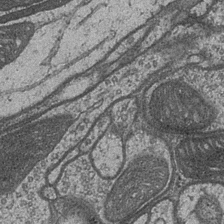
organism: Drosophila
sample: Optic medulla